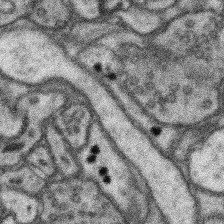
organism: Mouse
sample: Somatosensory cortex neuropil